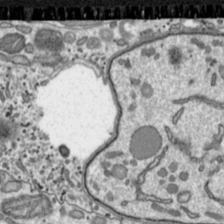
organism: Toxoplasma gondii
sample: Parasites in a vacuole inside a host cell